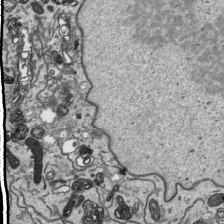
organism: Human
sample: Mitochondria in HCT116 cells